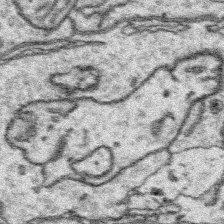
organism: Platynereis dumerilii